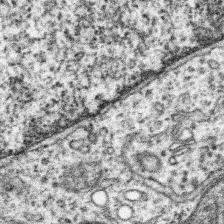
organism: Human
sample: HeLa cells